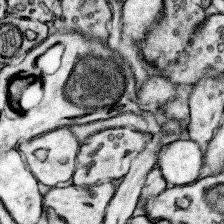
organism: Mouse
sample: Somatosensory cortex neuropil